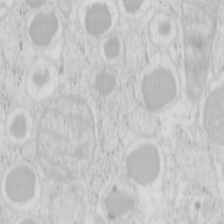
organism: Mouse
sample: Pancreas